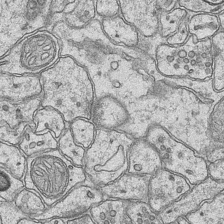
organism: Mouse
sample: CA1 Hippocampus